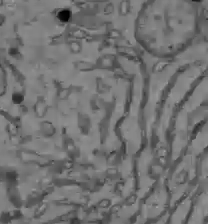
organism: C57BL Mouse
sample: Liver